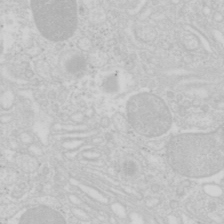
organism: Mouse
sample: Pancreas